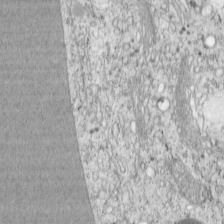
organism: African green monkey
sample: COS-7 cells